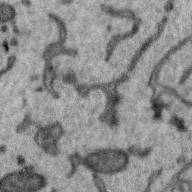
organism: Zebra finch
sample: Brain